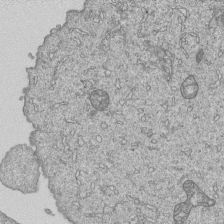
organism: Human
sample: MDA-MB-231 cells